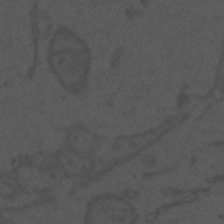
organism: Mouse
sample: Suprachiasmatic nucleus